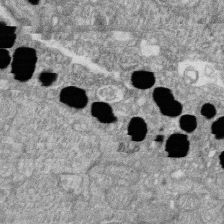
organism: Zebrafish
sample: Cilia; retinal pigment epithelium